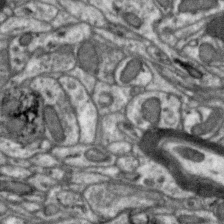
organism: Zebra finch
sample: Brain